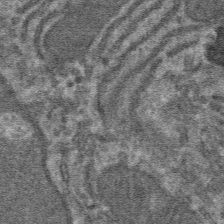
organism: Mouse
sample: Mouse hepatocytes